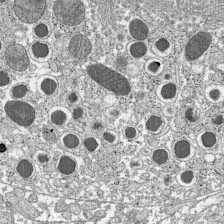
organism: C57BL Mouse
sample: Pancreatic islet